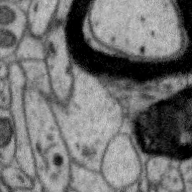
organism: Zebra finch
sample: Brain